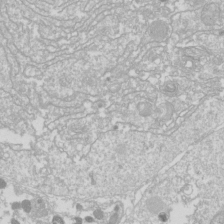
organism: Drosophila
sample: Cell division; meiosis; drosophila spermatocytes